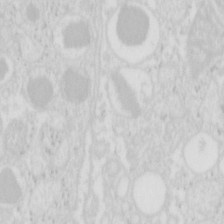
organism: Mouse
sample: Pancreas